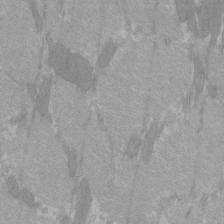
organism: C57BL Mouse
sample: Tibialis anterior muscle cell